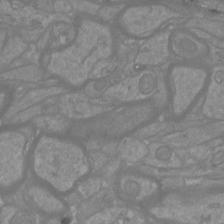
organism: Mouse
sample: Cortical neurons